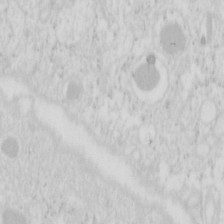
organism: Mouse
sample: Pancreas